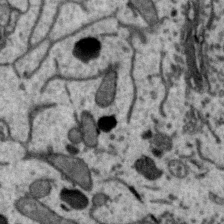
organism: Zebra finch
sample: Brain